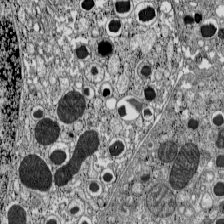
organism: C57BL Mouse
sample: Pancreatic islet